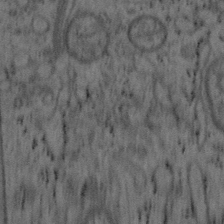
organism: Human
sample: HeLa cells